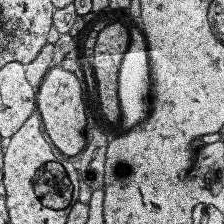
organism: Human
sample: Temporal Lobe